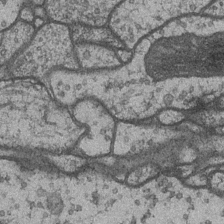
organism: Drosophila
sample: Optic medulla